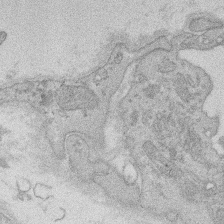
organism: Rat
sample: Salivary granule